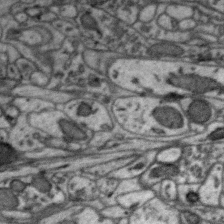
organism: Zebra finch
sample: Brain